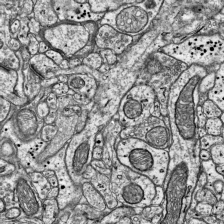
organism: Mouse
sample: Visual Cortex